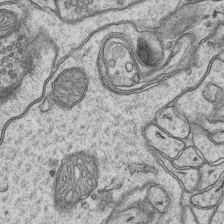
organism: Mouse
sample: CA1 Hippocampus